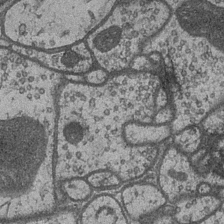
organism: Drosophila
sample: Optic medulla